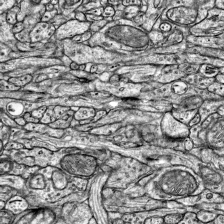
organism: Mouse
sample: Visual Cortex